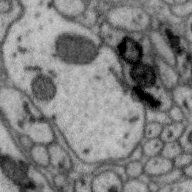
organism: Zebra finch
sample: Brain